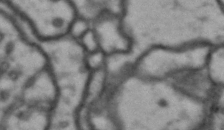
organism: Drosophila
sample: Brain